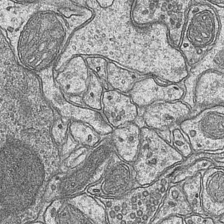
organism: Mouse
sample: CA1 Hippocampus